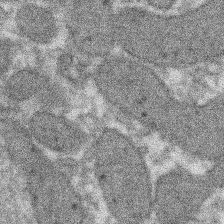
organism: Xenopus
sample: Cilia; centrioles in frog embryo cells